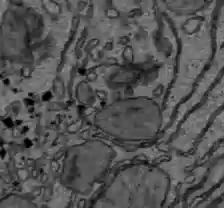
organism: C57BL Mouse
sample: Liver